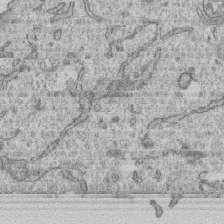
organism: Human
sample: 1205lu cells